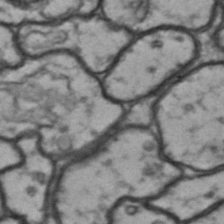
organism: Drosophila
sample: Brain